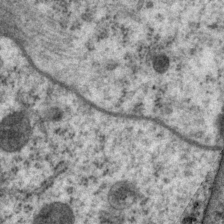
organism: P. pacificus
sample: Pharynx